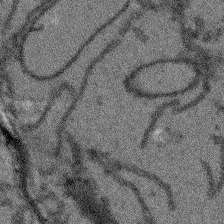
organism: Arabidopsis thaliana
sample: Root tip